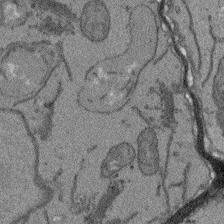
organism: Arabidopsis thaliana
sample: Root tip